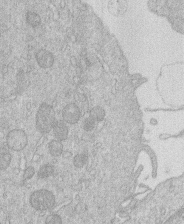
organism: Human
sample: Macrophage cells